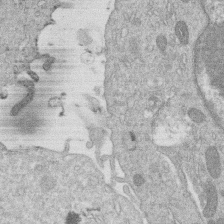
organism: Human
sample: Macrophage cells